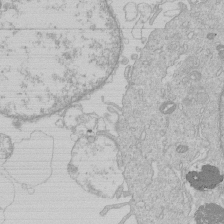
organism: Human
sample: Macrophage cells